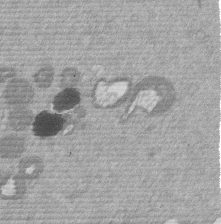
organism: Mouse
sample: Dividing mouse embryo 1 cell stage